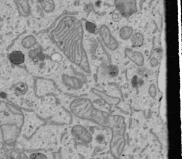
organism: Human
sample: Mitochondria in U2OS cells